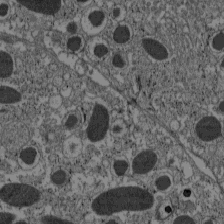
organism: C57BL Mouse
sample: Pancreatic islet